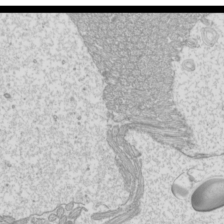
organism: Mouse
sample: Cilia; mouse epididymis